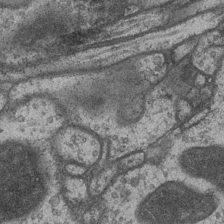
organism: Drosophila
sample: Optic medulla